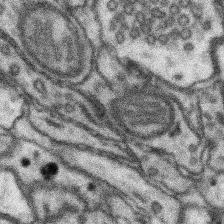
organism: Mouse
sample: Somatosensory cortex neuropil